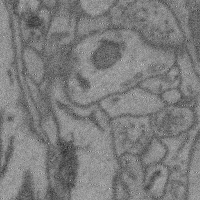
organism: Mouse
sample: Cerebral cortex